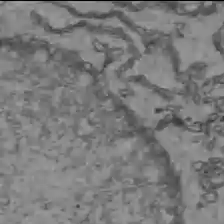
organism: C57BL Mouse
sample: Liver